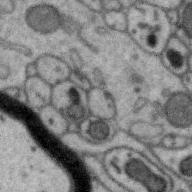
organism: Zebra finch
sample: Brain